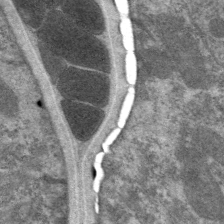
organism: C. elegans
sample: Pharynx